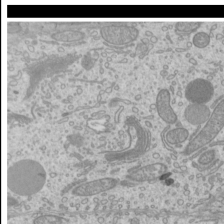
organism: Mouse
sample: Cilia; mouse epididymis